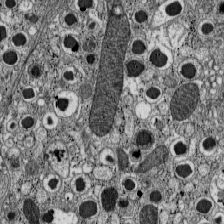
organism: C57BL Mouse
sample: Pancreatic islet